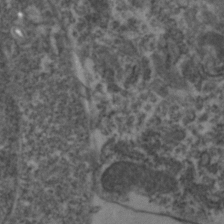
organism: Zebrafish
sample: Zebrafish embryo